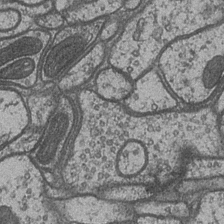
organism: Drosophila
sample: Optic medulla